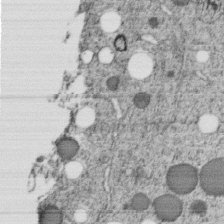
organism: C. elegans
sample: C. elegans embryo early stage